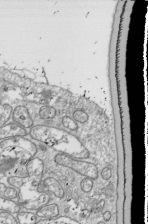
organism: Drosophila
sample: Cell division; meiosis; drosophila spermatocytes